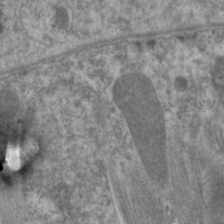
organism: C. elegans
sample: Pharynx